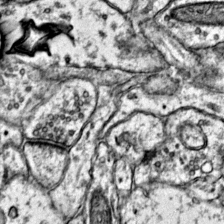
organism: Mouse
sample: Primary visual cortex